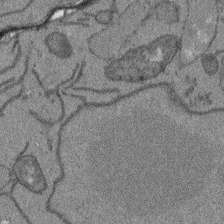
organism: Arabidopsis thaliana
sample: Root tip